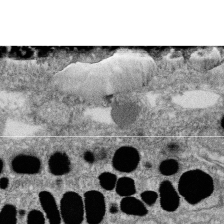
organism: Zebrafish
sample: Cilia; retinal pigment epithelium